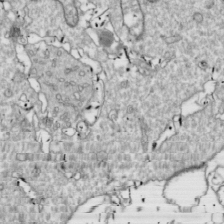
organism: Drosophila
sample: Cell division; meiosis; drosophila spermatocytes